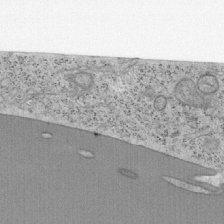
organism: Human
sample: HeLa cells